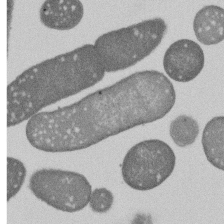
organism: E. coli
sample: Bacterial nucleoid